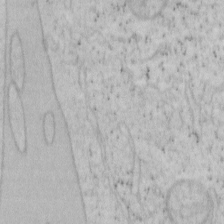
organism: Human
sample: HeLa cells